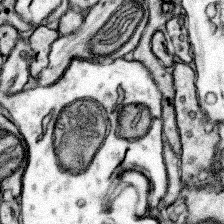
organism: Mouse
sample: Somatosensory cortex neuropil